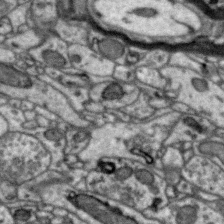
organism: Zebra finch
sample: Brain